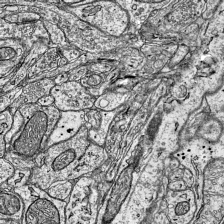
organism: Mouse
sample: Visual Cortex